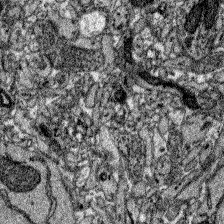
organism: Zebrafish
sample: Larval olfactory bulb